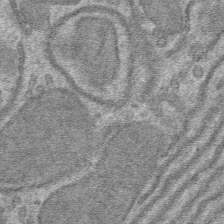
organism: Mouse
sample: Mouse hepatocytes